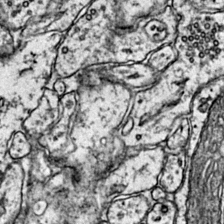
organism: Mouse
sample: Primary visual cortex